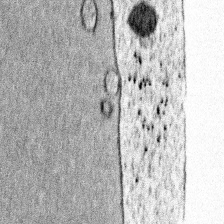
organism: Human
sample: HeLa cells